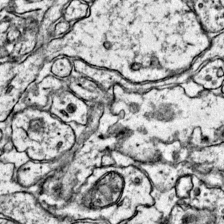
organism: Mouse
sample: Primary visual cortex